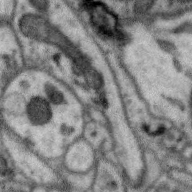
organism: Zebra finch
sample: Brain